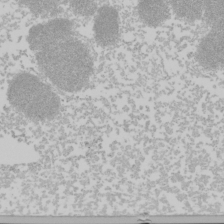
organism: Mouse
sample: Cancer cell death in ED-1 cells